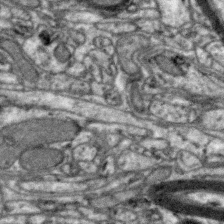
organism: Zebra finch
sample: Brain